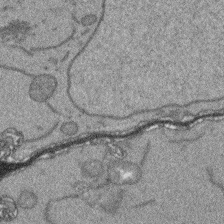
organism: Arabidopsis thaliana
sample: Root tip